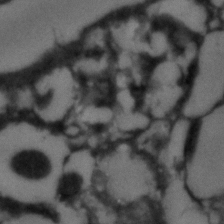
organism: C. elegans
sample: C. elegans embryo